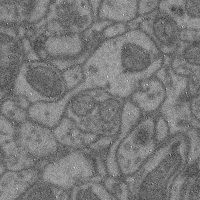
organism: Mouse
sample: Cerebral cortex